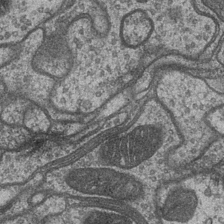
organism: Drosophila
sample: Optic medulla